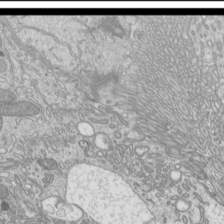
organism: Mouse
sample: Cilia; mouse epididymis